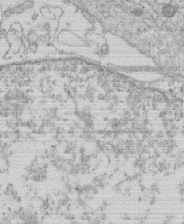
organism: Human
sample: Macrophage cells